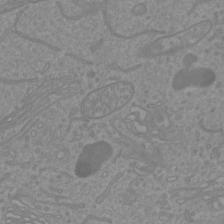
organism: Mouse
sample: Cortical neurons